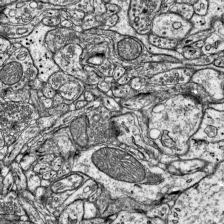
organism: Mouse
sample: Visual Cortex